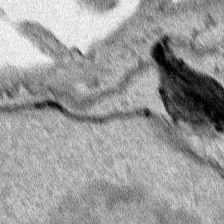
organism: Human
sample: Mitochondria in HCT116 cells